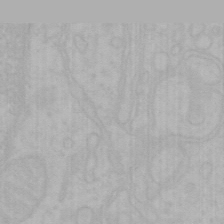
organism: Mouse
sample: Choroid plexus